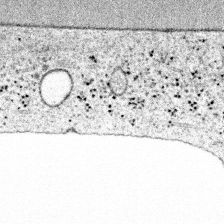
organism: Human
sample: HeLa cells